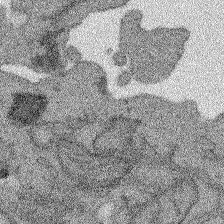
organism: Human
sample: HeLa cells